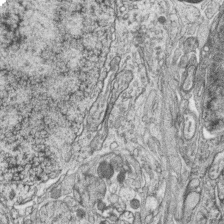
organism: Zebrafish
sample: synaptic ribbons in rod cells and cone cells